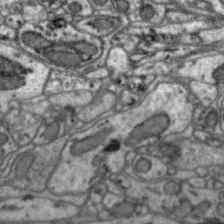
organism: Zebra finch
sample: Brain